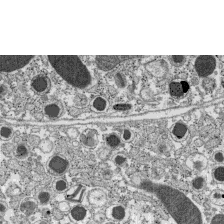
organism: C57BL Mouse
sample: Pancreatic islet